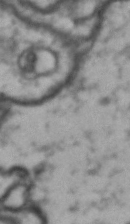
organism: Drosophila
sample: Brain